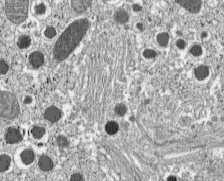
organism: C57BL Mouse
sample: Pancreatic islet